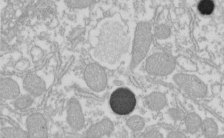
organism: Xenopus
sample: Cilia; centrioles in frog embryo cells